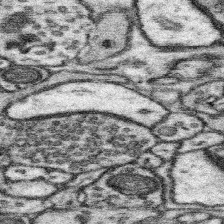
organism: Mouse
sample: Somatosensory cortex neuropil